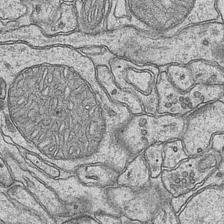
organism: Mouse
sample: CA1 Hippocampus